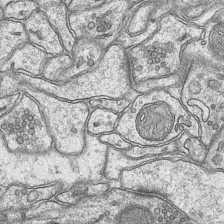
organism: Mouse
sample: CA1 Hippocampus